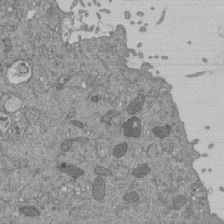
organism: Mouse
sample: ED-1 cell nuclei; centrioles